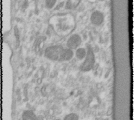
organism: Human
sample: Cilia; basal body in RPE cells